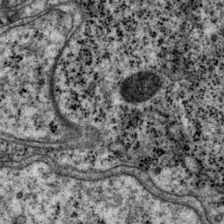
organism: P. pacificus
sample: Pharynx